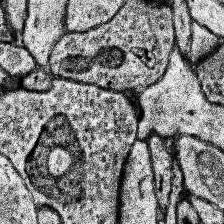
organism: Human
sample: Temporal Lobe